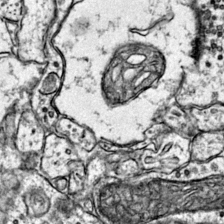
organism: Mouse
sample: Primary visual cortex